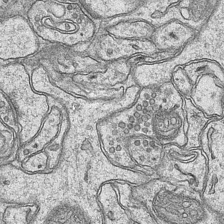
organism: Mouse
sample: CA1 Hippocampus